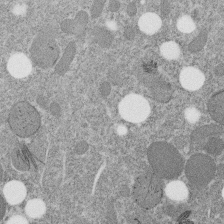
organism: C. elegans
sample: C. elegans embryo early stage